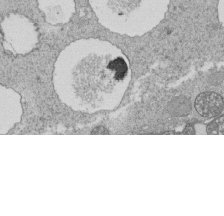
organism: Tetrahymena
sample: Cilia in tetrahymena